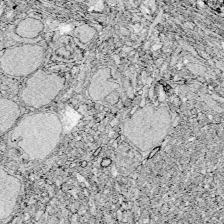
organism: Zebrafish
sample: Whole-Brain